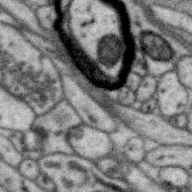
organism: Zebra finch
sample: Brain